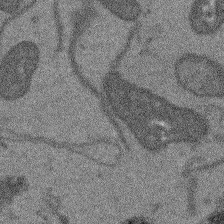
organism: Arabidopsis thaliana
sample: Root tip